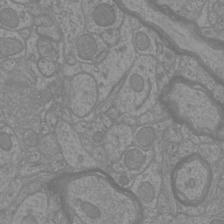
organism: Mouse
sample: Cortical neurons